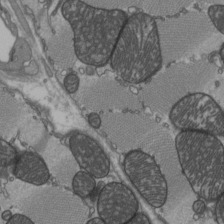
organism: C57BL Mouse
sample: Heart